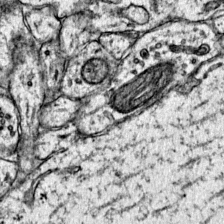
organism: Mouse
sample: Primary visual cortex